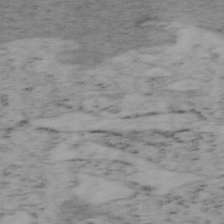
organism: Mouse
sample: OT-I killer T cells with ID8 ovarian cancer cells